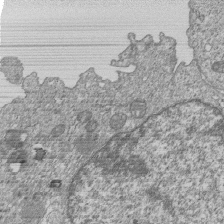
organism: Human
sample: MDA-MB-231 cells